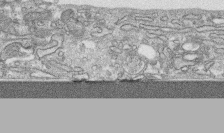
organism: Human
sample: CRL-1474